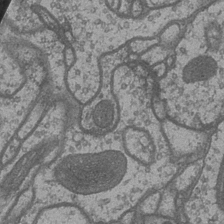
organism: Drosophila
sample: Optic medulla